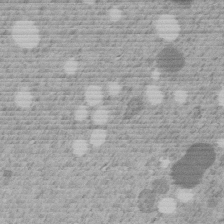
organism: C. elegans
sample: C. elegans embryo early stage